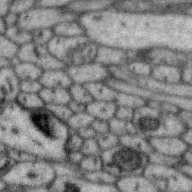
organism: Zebra finch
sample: Brain